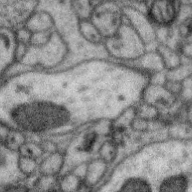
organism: Zebra finch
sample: Brain